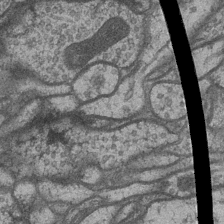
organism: Drosophila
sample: Optic medulla